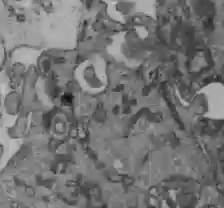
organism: C57BL Mouse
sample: Liver